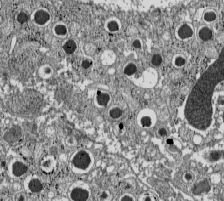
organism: C57BL Mouse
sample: Pancreatic islet